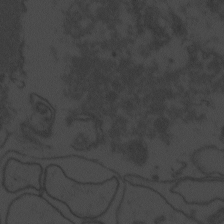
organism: Zebrafish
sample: Macrophage infected with Toxoplasma gondii